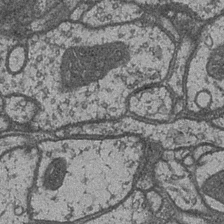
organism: Drosophila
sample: Optic medulla